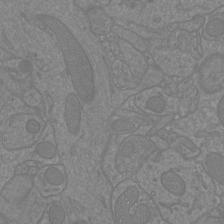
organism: Mouse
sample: Cortical neurons